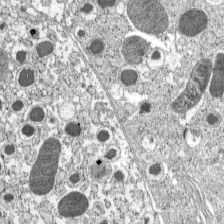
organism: C57BL Mouse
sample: Pancreatic islet